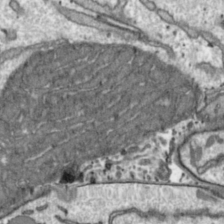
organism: Toxoplasma gondii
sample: Parasites in a vacuole inside a host cell